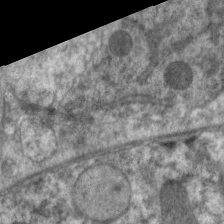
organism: C. elegans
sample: Pharynx